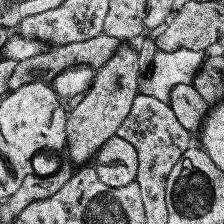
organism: Human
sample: Temporal Lobe